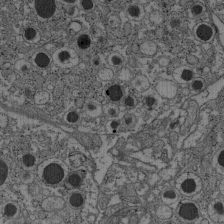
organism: C57BL Mouse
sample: Pancreatic islet